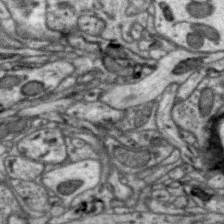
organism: Zebra finch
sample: Brain